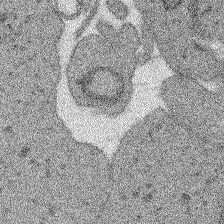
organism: Human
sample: HeLa cells